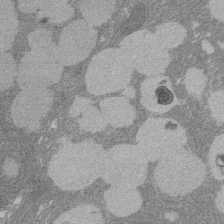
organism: Rat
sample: Salivary granule